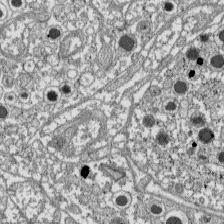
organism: C57BL Mouse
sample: Pancreatic islet